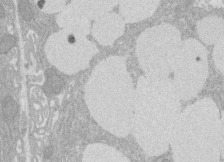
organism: Rat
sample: Salivary granule